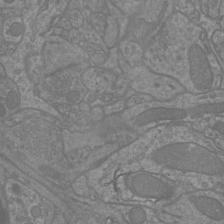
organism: Mouse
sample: Cortical neurons